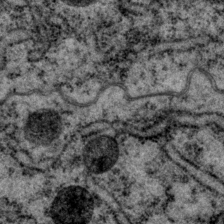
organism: P. pacificus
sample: Pharynx